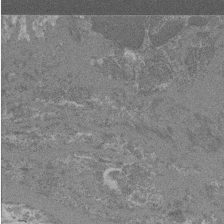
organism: Mouse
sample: Glomerulus